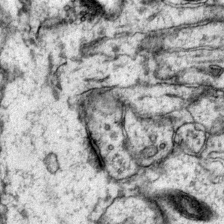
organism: Mouse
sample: Primary visual cortex